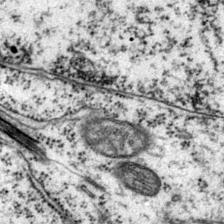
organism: Mouse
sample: Primary visual cortex